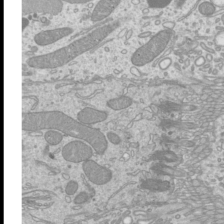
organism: Mouse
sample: Cilia; mouse epididymis